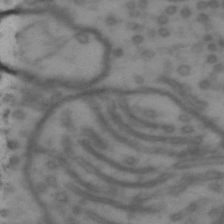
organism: Drosophila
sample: Brain